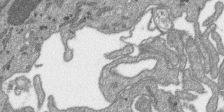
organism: Human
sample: Lung epithelial cells infected with SARS-CoV-2